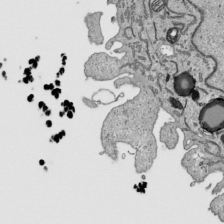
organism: Human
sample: Mitochondria in HCT116 cells